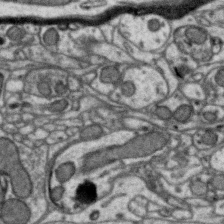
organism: Zebra finch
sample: Brain